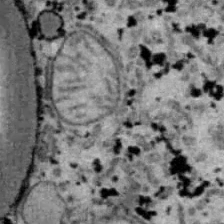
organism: Mouse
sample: Liver from an obese (ob/ob) mouse